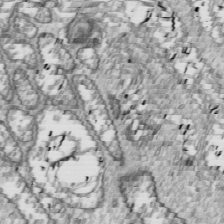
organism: Drosophila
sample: Cell division; meiosis; drosophila spermatocytes